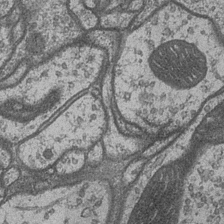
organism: Drosophila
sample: Optic medulla